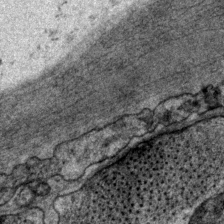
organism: P. pacificus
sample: Pharynx